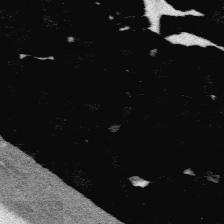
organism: Platynereis dumerilii